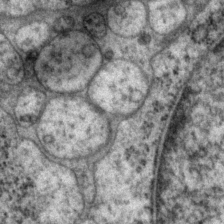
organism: P. pacificus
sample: Pharynx